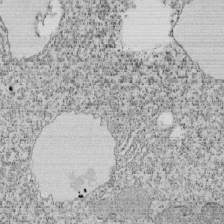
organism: Tetrahymena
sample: Cilia in tetrahymena